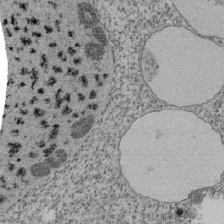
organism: Tetrahymena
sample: Cilia in tetrahymena